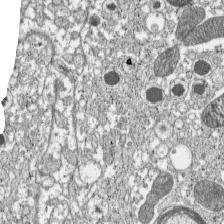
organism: C57BL Mouse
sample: Pancreatic islet